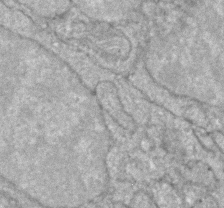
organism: Zebrafish